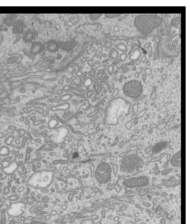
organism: Mouse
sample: Cilia; mouse epididymis